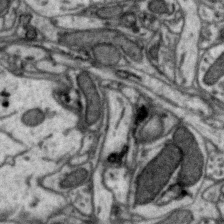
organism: Zebra finch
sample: Brain